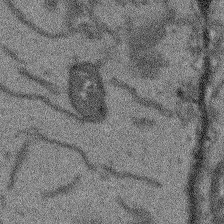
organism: Arabidopsis thaliana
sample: Root tip